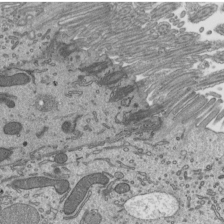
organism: Mouse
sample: Mouse epididymis efferent ductule cilia